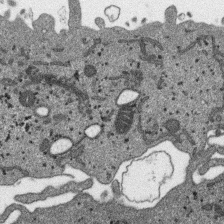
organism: Human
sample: Lung epithelial cells infected with SARS-CoV-2